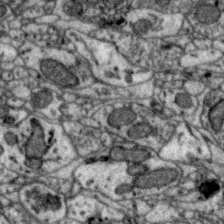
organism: Zebra finch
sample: Brain